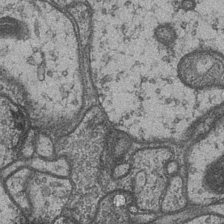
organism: Drosophila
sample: Optic medulla